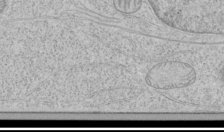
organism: Human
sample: Mitochondria in HCT116 cells